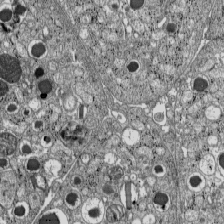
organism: C57BL Mouse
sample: Pancreatic islet